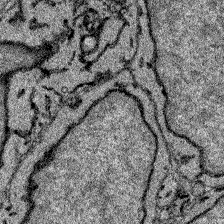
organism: Zebrafish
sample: Larval olfactory bulb